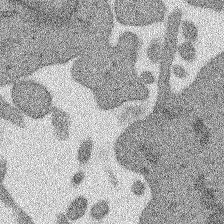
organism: Human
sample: HeLa cells